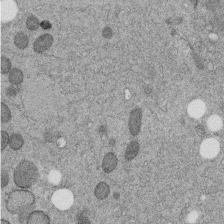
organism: C. elegans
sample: C. elegans embryo early stage